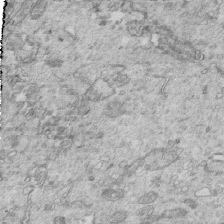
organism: Mouse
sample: Multiciliated cells